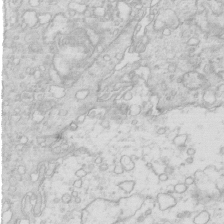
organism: Mouse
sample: Multiciliated cells